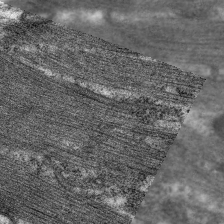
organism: C. elegans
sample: Pharynx